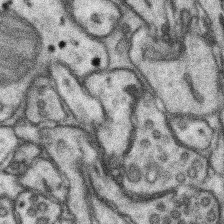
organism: Mouse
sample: Somatosensory cortex neuropil